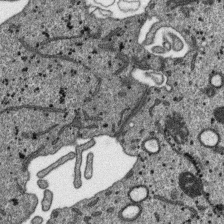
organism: Human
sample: Lung epithelial cells infected with SARS-CoV-2